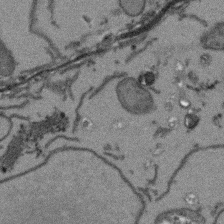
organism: Arabidopsis thaliana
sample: Root tip